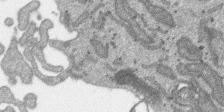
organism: Human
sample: Lung epithelial cells infected with SARS-CoV-2